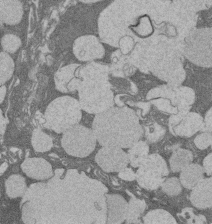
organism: Rat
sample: Salivary granule